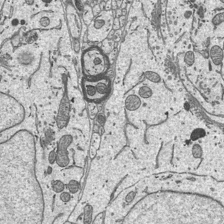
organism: Mouse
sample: Suprachiasmatic nucleus